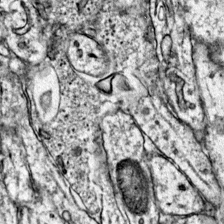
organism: Mouse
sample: Primary visual cortex